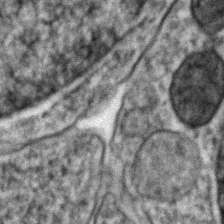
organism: Zebrafish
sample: Zebrafish embryo